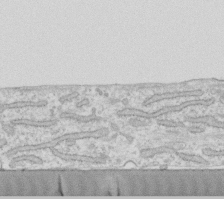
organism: Human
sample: Fibroblast cells